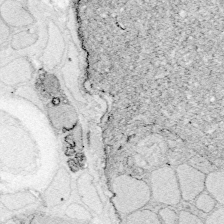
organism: Zebrafish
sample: Whole-Brain